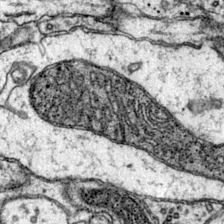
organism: Mouse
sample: Primary visual cortex